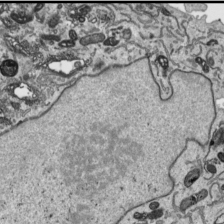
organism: Human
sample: Mitochondria in HCT116 cells